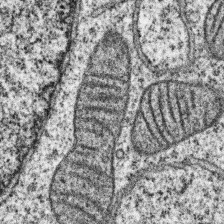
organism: Human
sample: HeLa cells